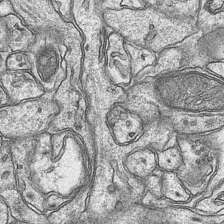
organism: Mouse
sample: CA1 Hippocampus